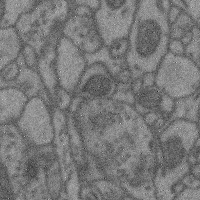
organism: Mouse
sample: Cerebral cortex